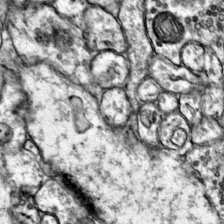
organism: Mouse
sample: Primary visual cortex